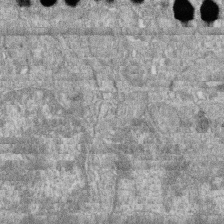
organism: Zebrafish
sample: Cilia; retinal pigment epithelium